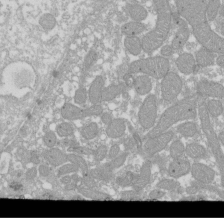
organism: Xenopus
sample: Cilia; centrioles in frog embryo cells